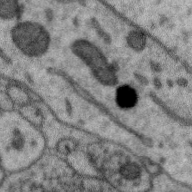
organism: Zebra finch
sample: Brain